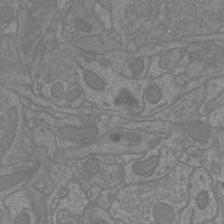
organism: Mouse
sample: Cortical neurons